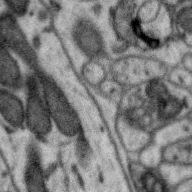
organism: Zebra finch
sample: Brain